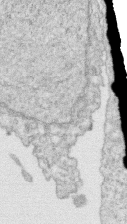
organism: Human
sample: HeLa cell HIV synapse